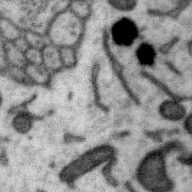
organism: Zebra finch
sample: Brain